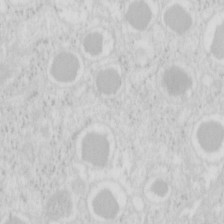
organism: Mouse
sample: Pancreas